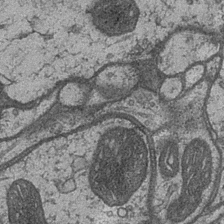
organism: Drosophila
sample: Optic medulla